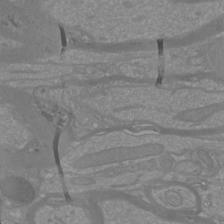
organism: Mouse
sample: Cortical neurons